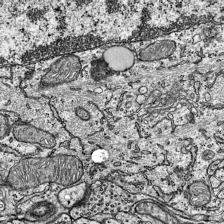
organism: Mouse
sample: Visual Cortex